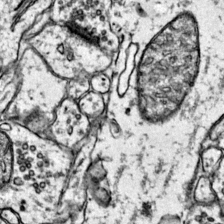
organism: Mouse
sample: Primary visual cortex